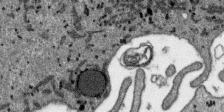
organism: Human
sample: Lung epithelial cells, uninfected (mock) control